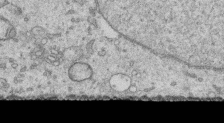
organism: Human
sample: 1205lu cells